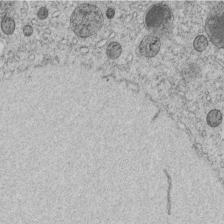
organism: C. elegans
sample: C. elegans embryo early stage